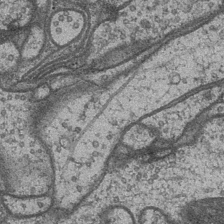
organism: Drosophila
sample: Optic medulla